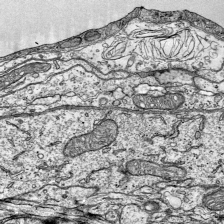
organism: Mouse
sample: Visual Cortex